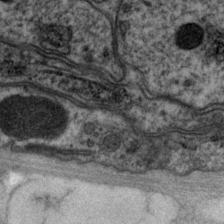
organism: P. pacificus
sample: Pharynx